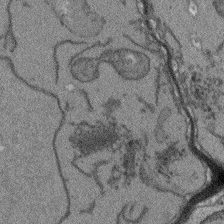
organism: Arabidopsis thaliana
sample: Root tip